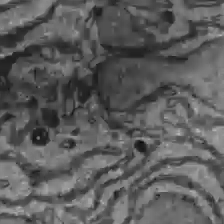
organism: C57BL Mouse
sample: Liver